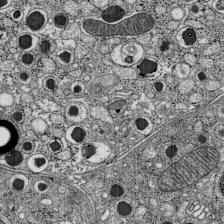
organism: C57BL Mouse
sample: Pancreatic islet